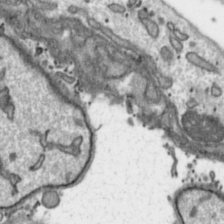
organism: Toxoplasma gondii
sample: Parasites in a vacuole inside a host cell